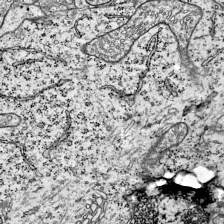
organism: Mouse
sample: Visual Cortex